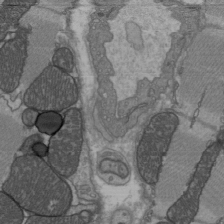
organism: C57BL Mouse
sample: Heart